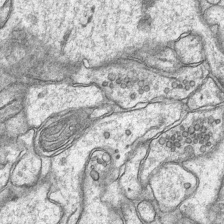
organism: Mouse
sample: CA1 Hippocampus